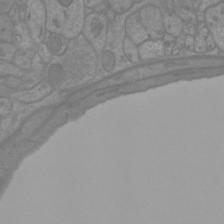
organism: Mouse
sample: Cortical neurons